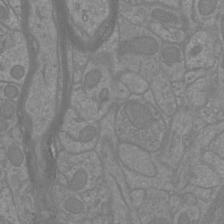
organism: Mouse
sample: Cortical neurons